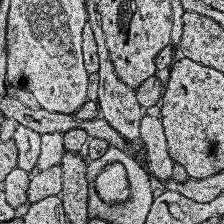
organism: Human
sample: Temporal Lobe